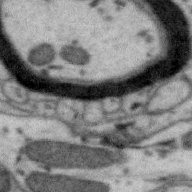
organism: Zebra finch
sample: Brain